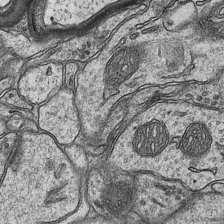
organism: Mouse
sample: CA1 Hippocampus